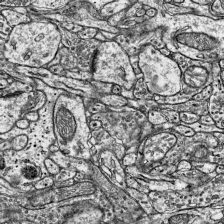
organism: Mouse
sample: Visual Cortex